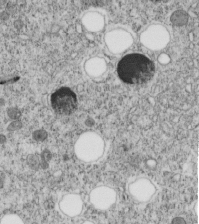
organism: C. elegans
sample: C. elegans embryo early stage